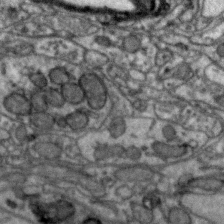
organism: Zebra finch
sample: Brain